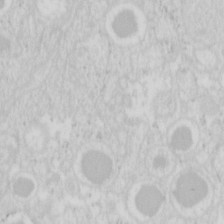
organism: Mouse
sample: Pancreas